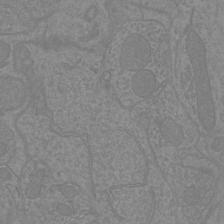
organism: Mouse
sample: Cortical neurons